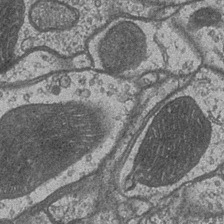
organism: Drosophila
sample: Optic medulla